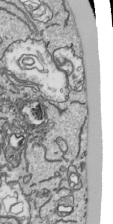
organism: Human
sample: Mitochondria in HCT116 cells